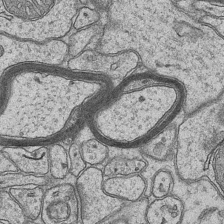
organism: Mouse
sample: CA1 Hippocampus